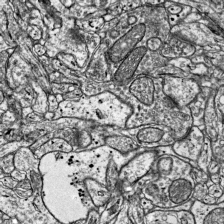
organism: Mouse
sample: Visual Cortex